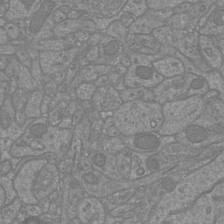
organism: Mouse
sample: Cortical neurons